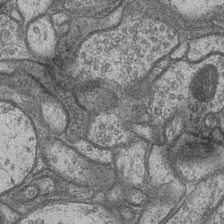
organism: Drosophila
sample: Optic medulla